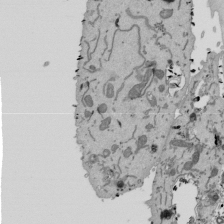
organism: Mouse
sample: ED-1 cell nuclei; centrioles